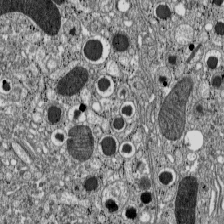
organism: C57BL Mouse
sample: Pancreatic islet